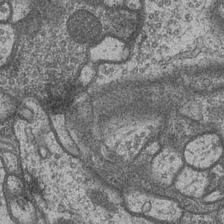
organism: Drosophila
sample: Optic medulla